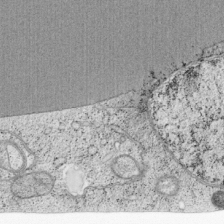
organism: African green monkey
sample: COS-7 cells